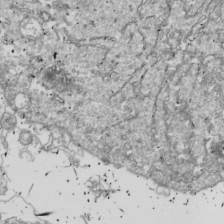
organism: Drosophila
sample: Cell division; meiosis; drosophila spermatocytes